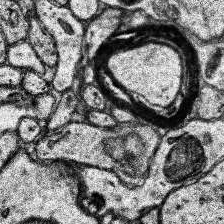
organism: Human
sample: Temporal Lobe